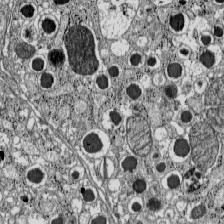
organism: C57BL Mouse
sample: Pancreatic islet